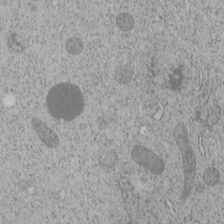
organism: C. elegans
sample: C. elegans embryo early stage